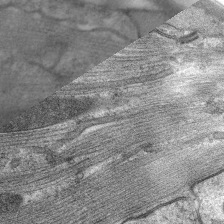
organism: C. elegans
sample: Pharynx